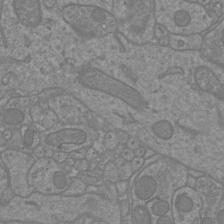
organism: Mouse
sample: Cortical neurons